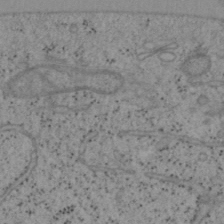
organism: Human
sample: HeLa cells